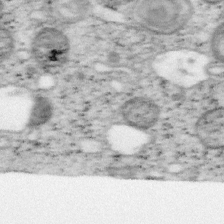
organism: Mouse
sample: OT-I killer T cells with ID8 ovarian cancer cells